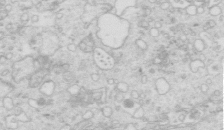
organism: Mouse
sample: Multiciliated cells